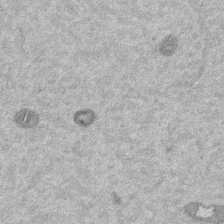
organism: Mouse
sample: Dividing mouse embryo 1 cell stage